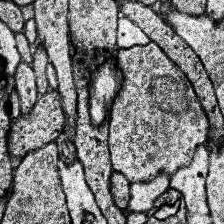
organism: Human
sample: Temporal Lobe